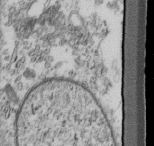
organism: Mouse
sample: Cilia; retinal pigment epithelium